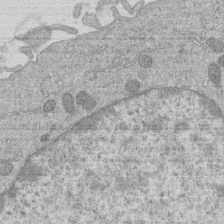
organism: Human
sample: Macrophage cells